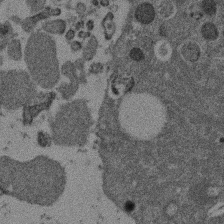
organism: Mouse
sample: Dividing mouse embryo 1 cell stage